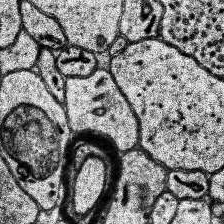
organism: Human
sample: Temporal Lobe